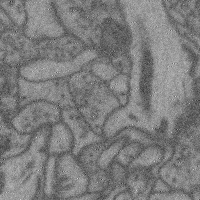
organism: Mouse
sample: Cerebral cortex